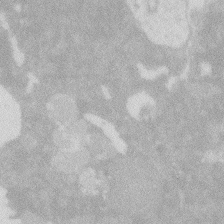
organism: Zebrafish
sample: Macrophage